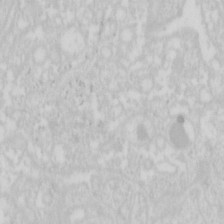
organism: Mouse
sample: Pancreas